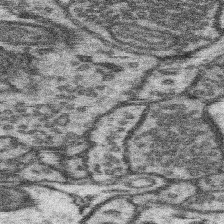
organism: Mouse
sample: Somatosensory cortex neuropil